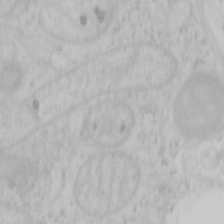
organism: Mouse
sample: OT-I killer T cells with ID8 ovarian cancer cells